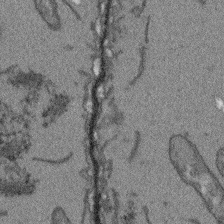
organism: Arabidopsis thaliana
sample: Root tip